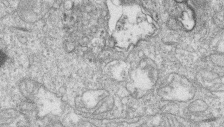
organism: Human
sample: HeLa cell HIV synapse